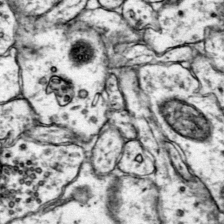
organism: Mouse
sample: Primary visual cortex